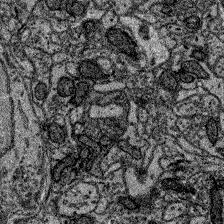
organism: Zebrafish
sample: Larval olfactory bulb